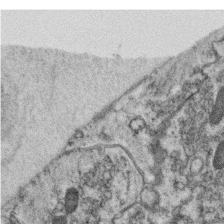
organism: C. elegans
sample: C. elegans oocyte; sperm cells